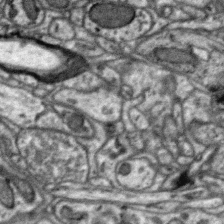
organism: Zebra finch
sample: Brain